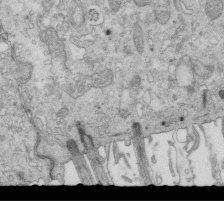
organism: Mouse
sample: Multiciliated cells